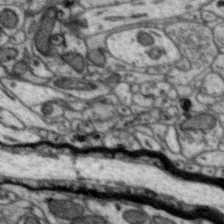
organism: Zebra finch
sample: Brain